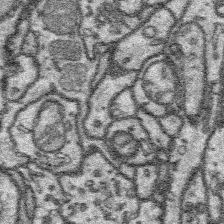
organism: Platynereis dumerilii